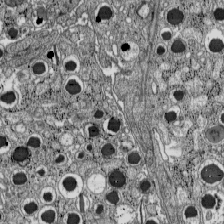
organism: C57BL Mouse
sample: Pancreatic islet